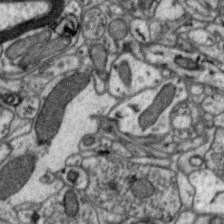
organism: Zebra finch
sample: Brain